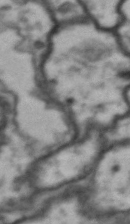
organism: Drosophila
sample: Brain